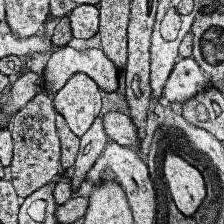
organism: Human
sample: Temporal Lobe